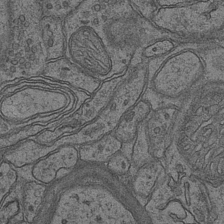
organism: Mouse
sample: CA1 Hippocampus